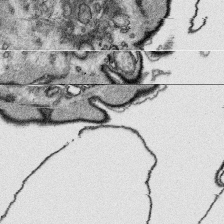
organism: Platynereis dumerilii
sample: Parapodia